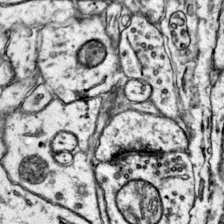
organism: Mouse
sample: Primary visual cortex